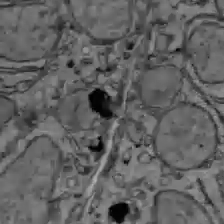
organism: C57BL Mouse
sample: Liver